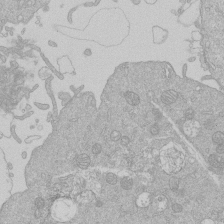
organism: Human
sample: Macrophage cells